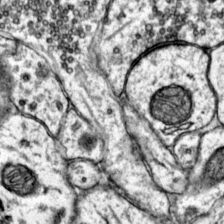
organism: Mouse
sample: Primary visual cortex